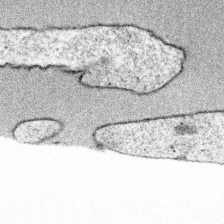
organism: Human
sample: HeLa cells